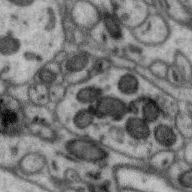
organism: Zebra finch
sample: Brain